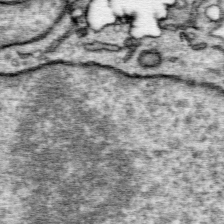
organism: Human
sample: HeLa cells